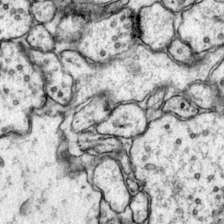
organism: Mouse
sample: Primary visual cortex